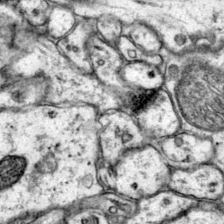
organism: Mouse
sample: Primary visual cortex